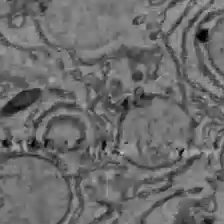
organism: C57BL Mouse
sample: Liver